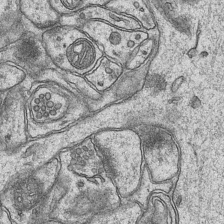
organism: Mouse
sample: CA1 Hippocampus